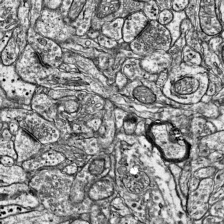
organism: Mouse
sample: Visual Cortex